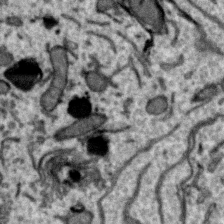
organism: Zebra finch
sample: Brain